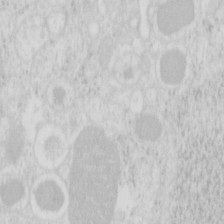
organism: Mouse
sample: Pancreas